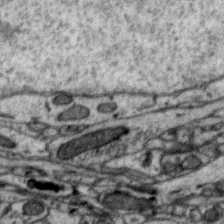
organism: Zebra finch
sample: Brain